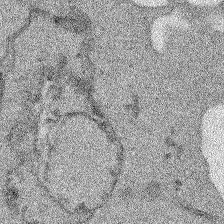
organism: Human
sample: HeLa cells